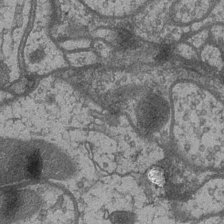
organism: Drosophila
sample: Optic medulla